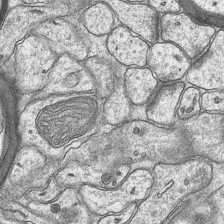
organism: Mouse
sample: CA1 Hippocampus